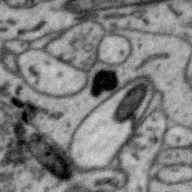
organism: Zebra finch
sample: Brain